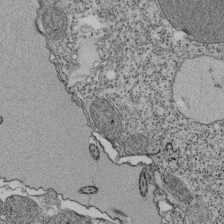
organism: Tetrahymena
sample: Cilia in tetrahymena